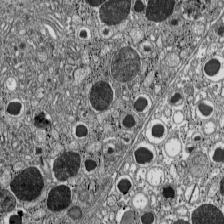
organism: C57BL Mouse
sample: Pancreatic islet